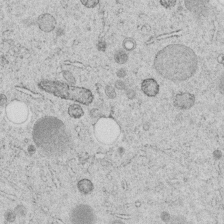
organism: C. elegans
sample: C. elegans embryo early stage